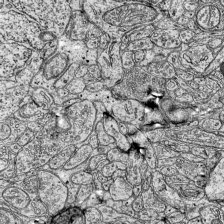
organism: Mouse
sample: Visual Cortex